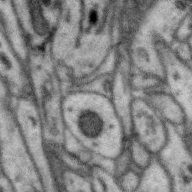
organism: Zebra finch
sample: Brain